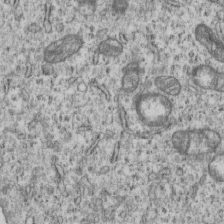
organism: Human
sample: MDA-MB-231 cells